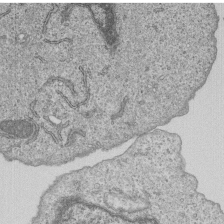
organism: Human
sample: MDA-MB-231 cells